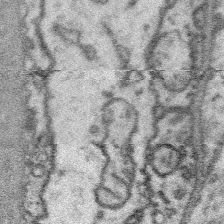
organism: Platynereis dumerilii